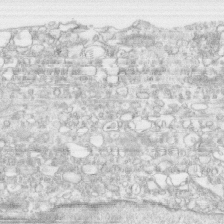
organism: Human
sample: CRL-1474